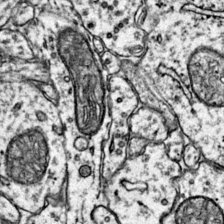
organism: Mouse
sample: Primary visual cortex